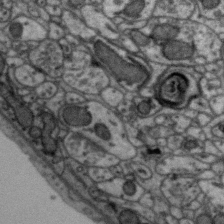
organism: Zebra finch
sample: Brain